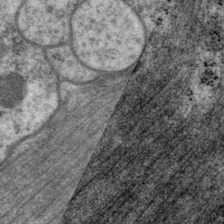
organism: P. pacificus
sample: Pharynx